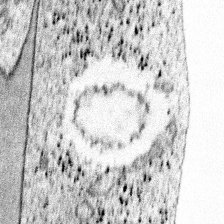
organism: Human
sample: HeLa cells